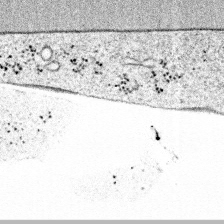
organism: Human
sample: HeLa cells